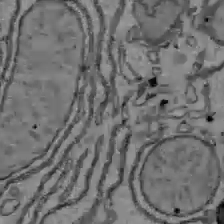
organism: C57BL Mouse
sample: Liver